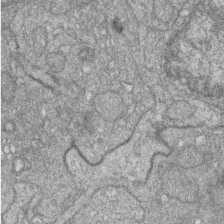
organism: Zebrafish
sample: Cilia; retinal pigment epithelium